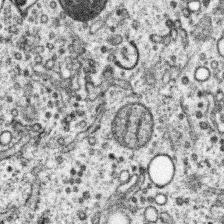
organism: Human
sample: HeLa cells